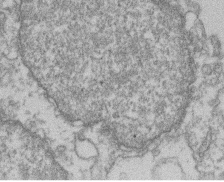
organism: Mouse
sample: T cell stromal cell synapse